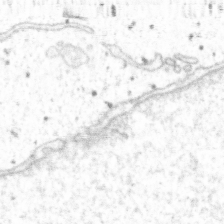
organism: Human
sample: HeLa cells